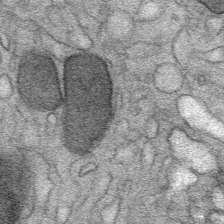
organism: Mouse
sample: Mouse Salivary gland